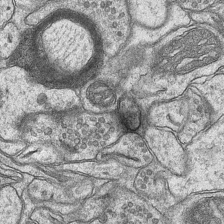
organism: Mouse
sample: CA1 Hippocampus